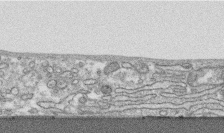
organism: Human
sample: CRL-1474